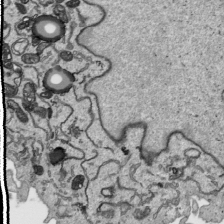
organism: Human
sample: Mitochondria in HCT116 cells